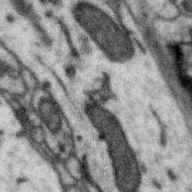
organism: Zebra finch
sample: Brain